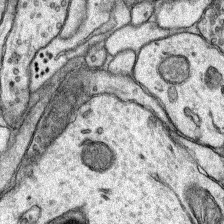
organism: Rat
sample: Hippocampus